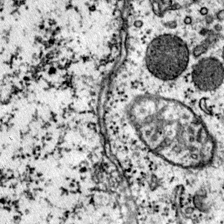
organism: Mouse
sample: Primary visual cortex